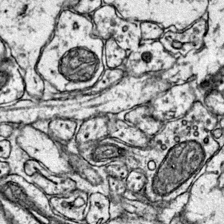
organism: Mouse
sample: Primary visual cortex